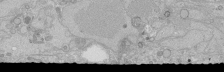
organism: Human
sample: Caco-2 cells